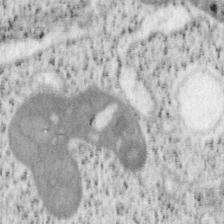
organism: Mouse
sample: OT-I killer T cells with ID8 ovarian cancer cells